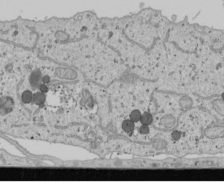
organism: Human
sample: Mitochondria in U2OS cells